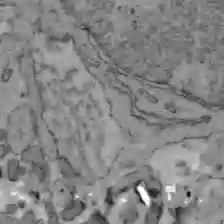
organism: C57BL Mouse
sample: Liver